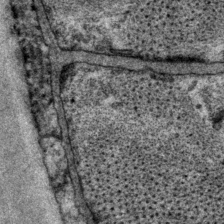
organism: P. pacificus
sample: Pharynx